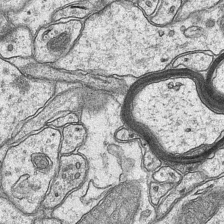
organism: Mouse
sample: CA1 Hippocampus